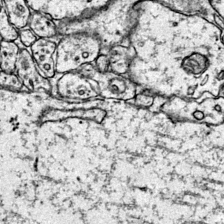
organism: Mouse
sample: Primary visual cortex